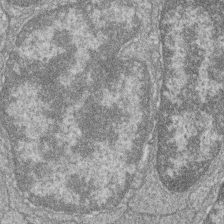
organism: Zebrafish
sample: Cilia; retinal pigment epithelium